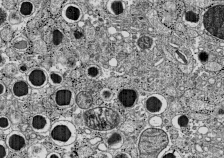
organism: C57BL Mouse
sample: Pancreatic islet